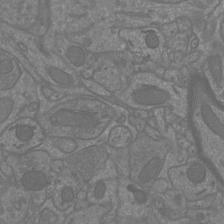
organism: Mouse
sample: Cortical neurons